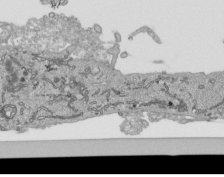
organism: Human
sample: Mitochondria in HCT116 cells